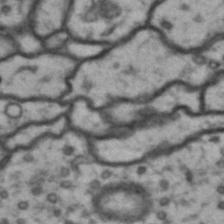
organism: Drosophila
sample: Brain